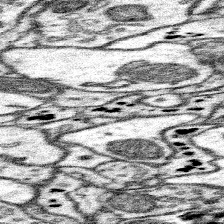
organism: Mouse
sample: Somatosensory cortex neuropil